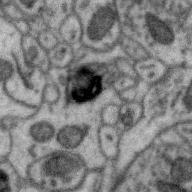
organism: Zebra finch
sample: Brain